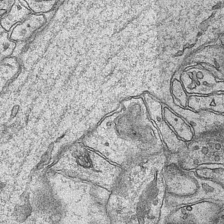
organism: Mouse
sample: CA1 Hippocampus